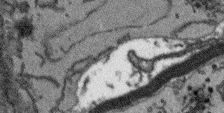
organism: Arabidopsis thaliana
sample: Root tip